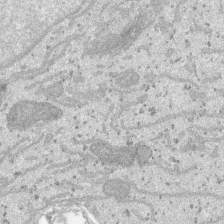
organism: Human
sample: Lung epithelial cells infected with SARS-CoV-2